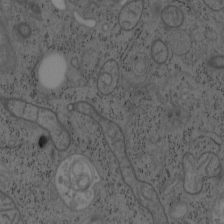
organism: Mouse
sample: OT-I killer T cells with ID8 ovarian cancer cells